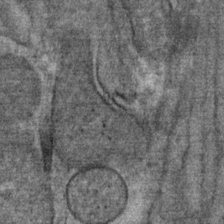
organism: Mouse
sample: Mouse Salivary gland